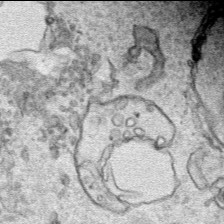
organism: Human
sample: Mitochondria in HCT116 cells